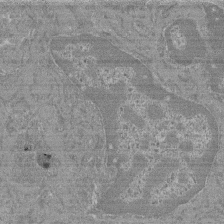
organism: Mouse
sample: Glomerulus